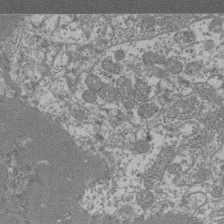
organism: Mouse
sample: Glomerulus